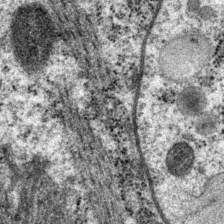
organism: P. pacificus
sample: Pharynx